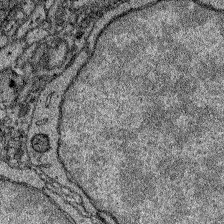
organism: Zebrafish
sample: Larval olfactory bulb